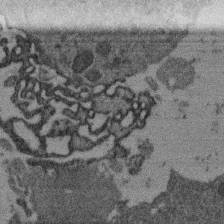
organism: Mouse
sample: Dividing mouse embryo 1 cell stage